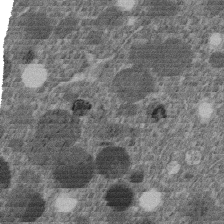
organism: C. elegans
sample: C. elegans embryo early stage